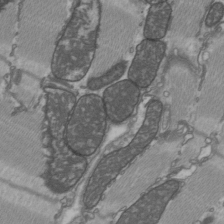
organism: C57BL Mouse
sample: Heart